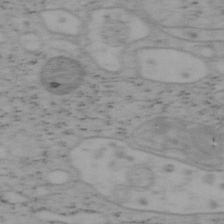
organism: Mouse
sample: OT-I killer T cells with ID8 ovarian cancer cells